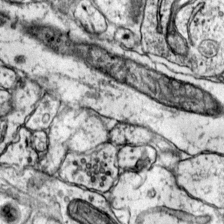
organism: Mouse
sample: Primary visual cortex